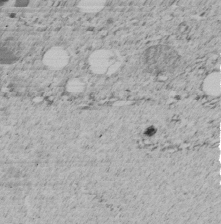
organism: C. elegans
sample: C. elegans embryo early stage